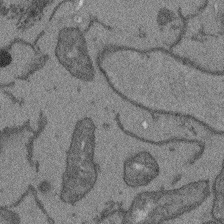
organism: Arabidopsis thaliana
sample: Root tip